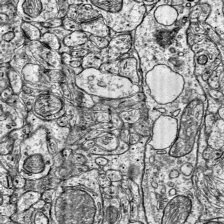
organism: Mouse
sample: Visual Cortex